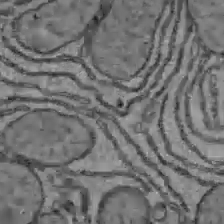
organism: C57BL Mouse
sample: Liver